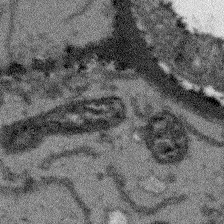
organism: Arabidopsis thaliana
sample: Root tip